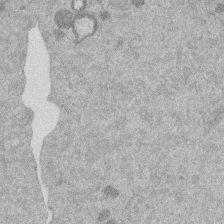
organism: Mouse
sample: Dividing mouse embryo 1 cell stage